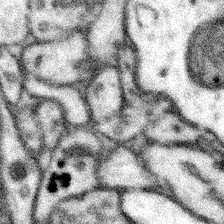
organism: Mouse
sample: Somatosensory cortex neuropil